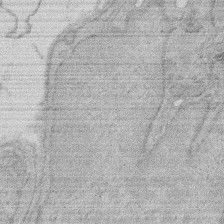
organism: Rat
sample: Salivary granule